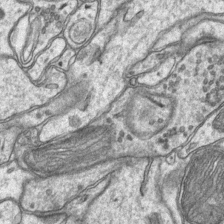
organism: Mouse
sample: CA1 Hippocampus